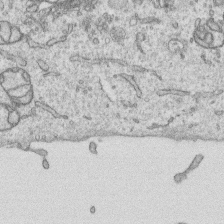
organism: Human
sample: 1205lu cells